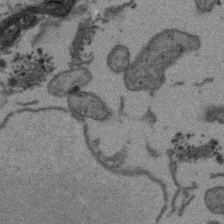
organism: Arabidopsis thaliana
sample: Root tip